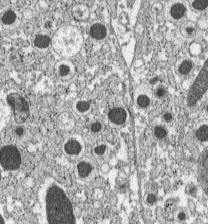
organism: C57BL Mouse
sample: Pancreatic islet